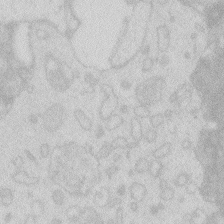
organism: Zebrafish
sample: Macrophage